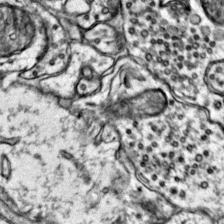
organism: Mouse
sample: Primary visual cortex